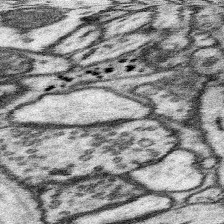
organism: Mouse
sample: Somatosensory cortex neuropil